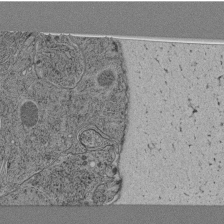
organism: C. elegans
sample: C. elegans pharynx